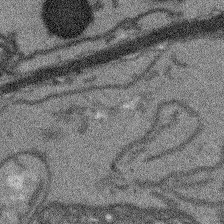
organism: Arabidopsis thaliana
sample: Root tip